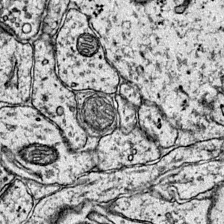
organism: Mouse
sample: Primary visual cortex